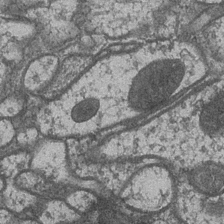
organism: Drosophila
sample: Optic medulla